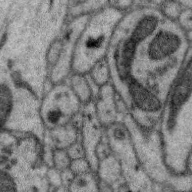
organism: Zebra finch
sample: Brain